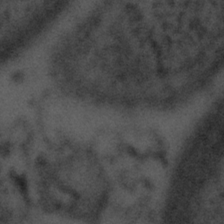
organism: Tuwongella immobilis